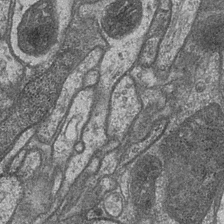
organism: Drosophila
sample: Optic medulla